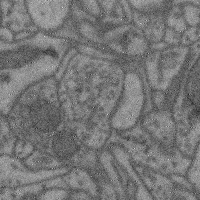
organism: Mouse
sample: Cerebral cortex